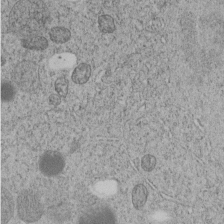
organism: C. elegans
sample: C. elegans embryo early stage